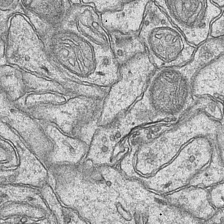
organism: Mouse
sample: CA1 Hippocampus